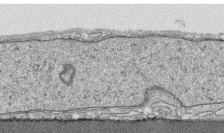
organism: Human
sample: CRL-1474